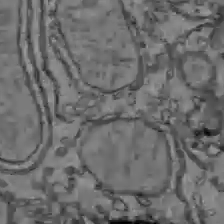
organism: C57BL Mouse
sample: Liver